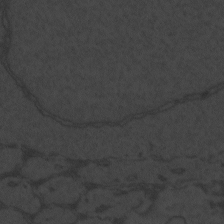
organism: Zebrafish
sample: Macrophage infected with Toxoplasma gondii